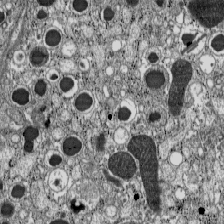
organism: C57BL Mouse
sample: Pancreatic islet